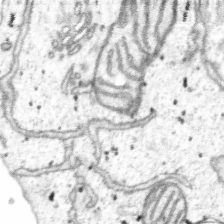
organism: Human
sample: HeLa cells